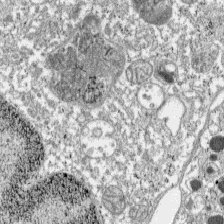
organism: C57BL Mouse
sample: Pancreatic islet